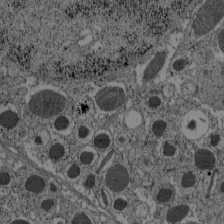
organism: C57BL Mouse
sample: Pancreatic islet